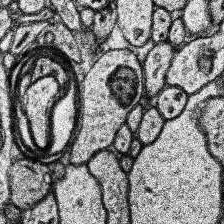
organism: Human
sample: Temporal Lobe